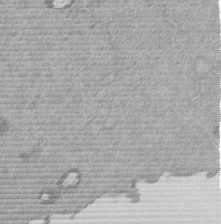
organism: Mouse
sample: Dividing mouse embryo 1 cell stage